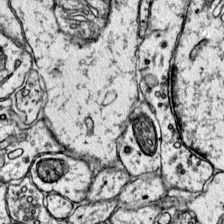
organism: Mouse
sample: Primary visual cortex